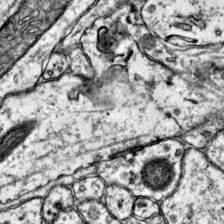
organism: Mouse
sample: Primary visual cortex